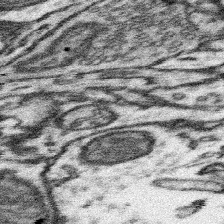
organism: Mouse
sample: Somatosensory cortex neuropil